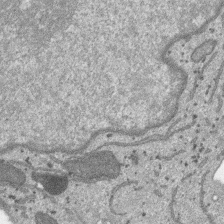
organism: Human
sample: Lung epithelial cells infected with SARS-CoV-2